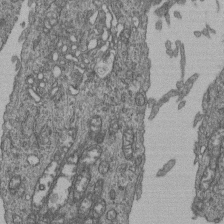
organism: Human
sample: Retinal organoid Rod and Cone cells